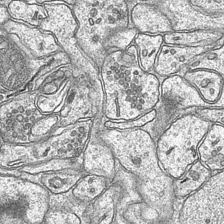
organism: Mouse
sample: CA1 Hippocampus